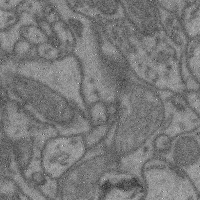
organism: Mouse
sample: Cerebral cortex